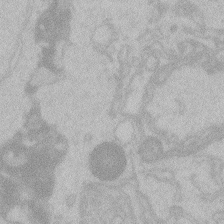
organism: Zebrafish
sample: Macrophage infected with Toxoplasma gondii